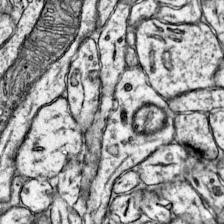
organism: Mouse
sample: Primary visual cortex